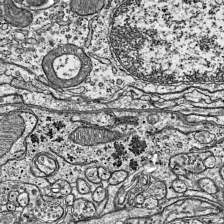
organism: Mouse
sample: Visual Cortex